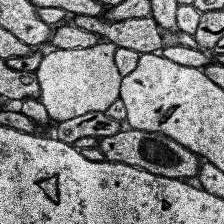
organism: Human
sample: Temporal Lobe